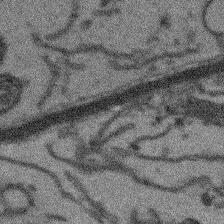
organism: Arabidopsis thaliana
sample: Root tip